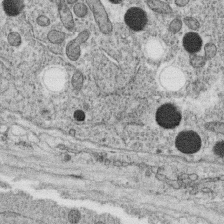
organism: C. elegans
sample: C. elegans oocyte; sperm cells